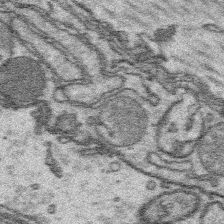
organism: Platynereis dumerilii